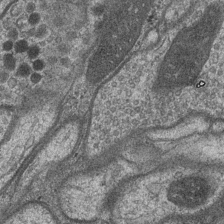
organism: Drosophila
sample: Optic medulla